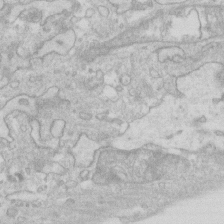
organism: Human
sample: Fibroblast cells